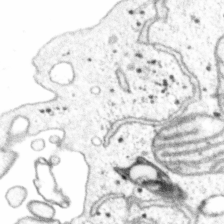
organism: Human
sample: HeLa cells